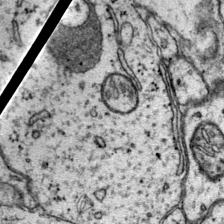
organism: Mouse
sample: Primary visual cortex